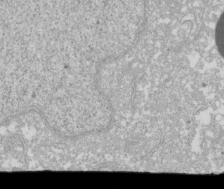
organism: Xenopus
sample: Cilia; centrioles in frog embryo cells